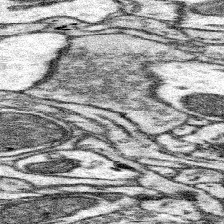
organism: Mouse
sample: Somatosensory cortex neuropil